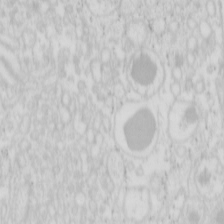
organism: Mouse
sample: Pancreas